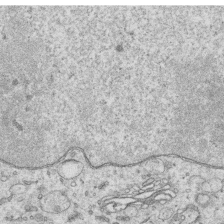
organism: Human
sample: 1205lu cells